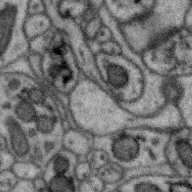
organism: Zebra finch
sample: Brain